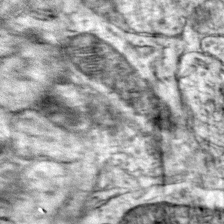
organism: Mouse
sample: Primary visual cortex